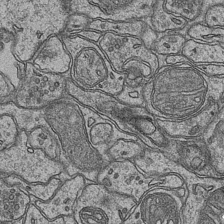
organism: Mouse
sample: CA1 Hippocampus